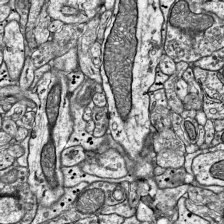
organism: Mouse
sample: Visual Cortex